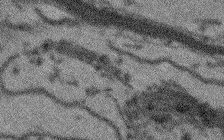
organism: Arabidopsis thaliana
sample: Root tip